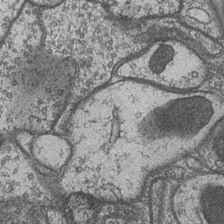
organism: Drosophila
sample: Optic medulla